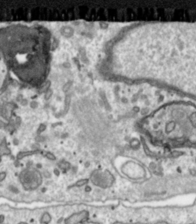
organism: Toxoplasma gondii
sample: Parasites in a vacuole inside a host cell